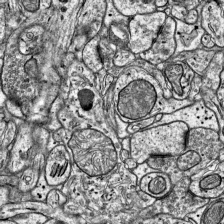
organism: Mouse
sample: Visual Cortex